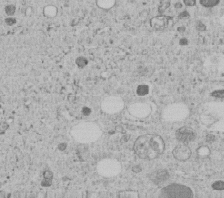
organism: C. elegans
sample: C. elegans embryo early stage